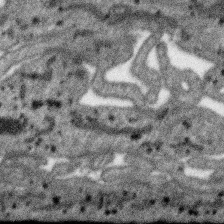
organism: Human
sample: Lung epithelial cells infected with SARS-CoV-2